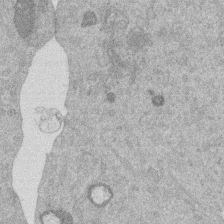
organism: Mouse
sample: Dividing mouse embryo 1 cell stage